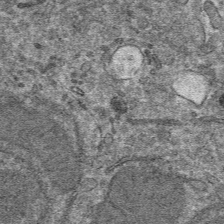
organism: Mouse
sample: Mouse hepatocytes